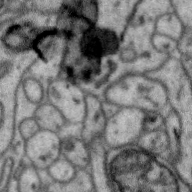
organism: Zebra finch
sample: Brain